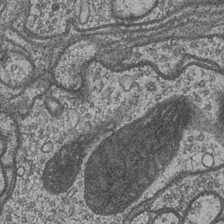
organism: Drosophila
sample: Optic medulla